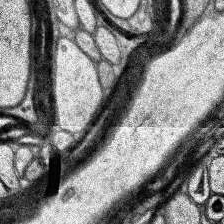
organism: Human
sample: Temporal Lobe